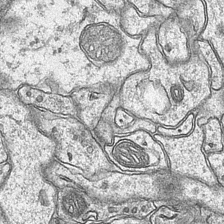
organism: Mouse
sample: CA1 Hippocampus